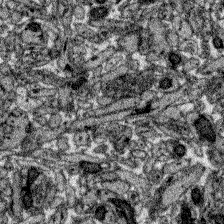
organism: Zebrafish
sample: Larval olfactory bulb